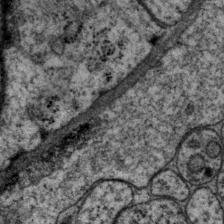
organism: P. pacificus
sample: Pharynx